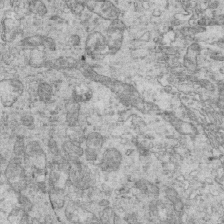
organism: Mouse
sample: Multiciliated cells